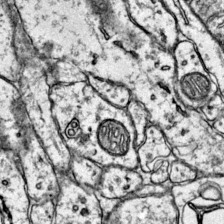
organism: Mouse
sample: Primary visual cortex